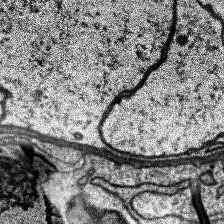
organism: Human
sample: Temporal Lobe